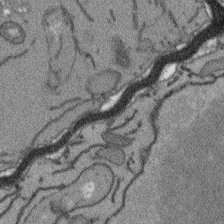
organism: Arabidopsis thaliana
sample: Root tip